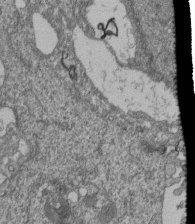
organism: Human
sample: Retinal organoid Rod and Cone cells